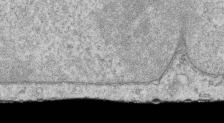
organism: Human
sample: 1205lu cells